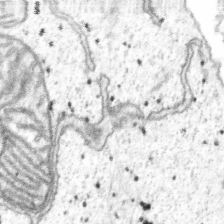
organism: Human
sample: HeLa cells